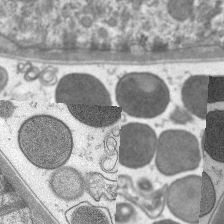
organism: C. elegans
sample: Pharynx